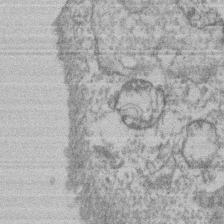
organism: Mouse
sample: T cell stromal cell synapse